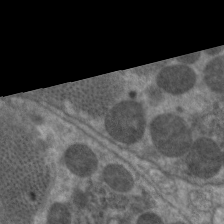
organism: C. elegans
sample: Pharynx